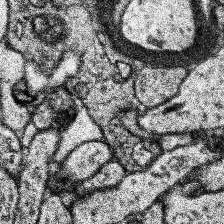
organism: Human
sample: Temporal Lobe